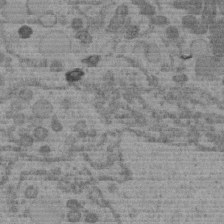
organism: C. elegans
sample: C. elegans embryo early stage